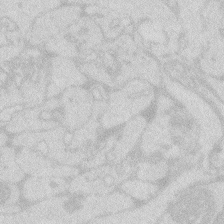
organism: Zebrafish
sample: Macrophage